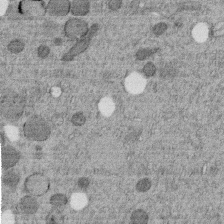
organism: C. elegans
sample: C. elegans embryo early stage